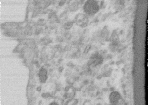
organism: Human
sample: Centriole in RPE cells